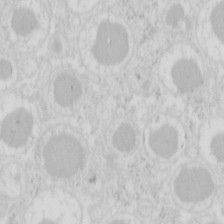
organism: Mouse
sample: Pancreas